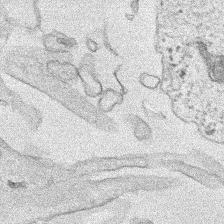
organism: Human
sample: Mitochondria in HCT116 cells